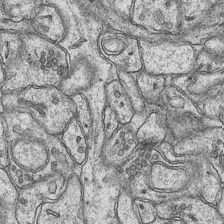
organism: Mouse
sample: CA1 Hippocampus